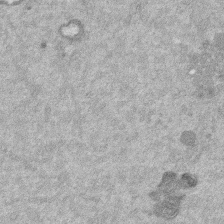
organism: Mouse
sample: Dividing mouse embryo 1 cell stage